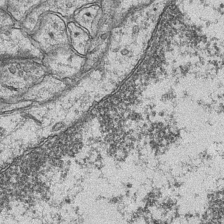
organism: Mouse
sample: CA1 Hippocampus